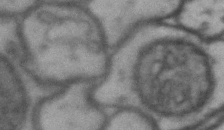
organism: Drosophila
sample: Brain